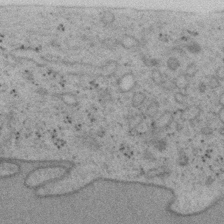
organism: Human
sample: HeLa cells